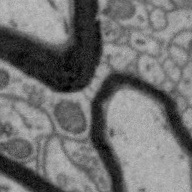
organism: Zebra finch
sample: Brain